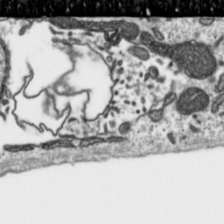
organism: Toxoplasma gondii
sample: Parasites in a vacuole inside a host cell